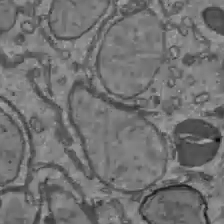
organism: C57BL Mouse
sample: Liver